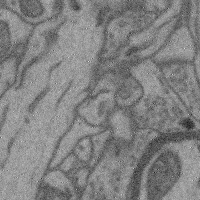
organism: Mouse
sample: Cerebral cortex